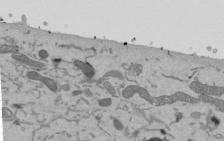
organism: Mouse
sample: ED-1 cell nuclei; centrioles